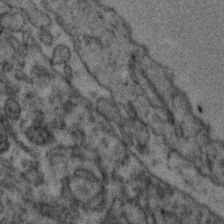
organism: Zebrafish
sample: Zebrafish embryo